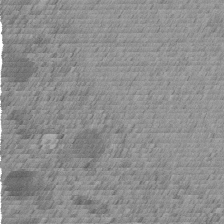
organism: C. elegans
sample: C. elegans embryo early stage